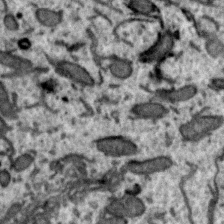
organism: Zebra finch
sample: Brain